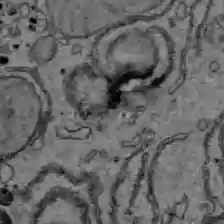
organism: C57BL Mouse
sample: Liver